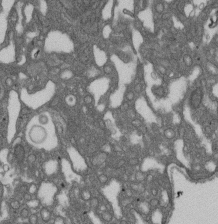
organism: Drosophila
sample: Nephrocyte